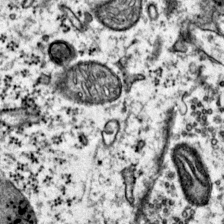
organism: Mouse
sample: Primary visual cortex